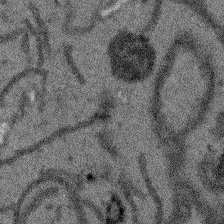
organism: Arabidopsis thaliana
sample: Root tip